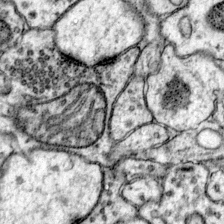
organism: Mouse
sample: Primary visual cortex